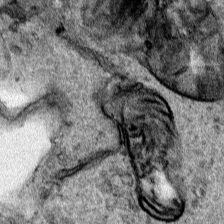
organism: Human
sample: Mitochondria in HCT116 cells